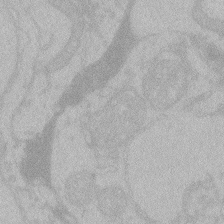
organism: Zebrafish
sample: Macrophage infected with Toxoplasma gondii